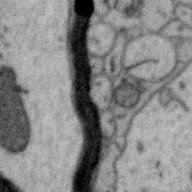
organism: Zebra finch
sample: Brain